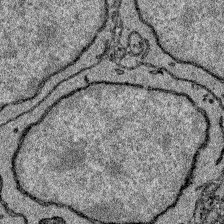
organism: Zebrafish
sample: Larval olfactory bulb